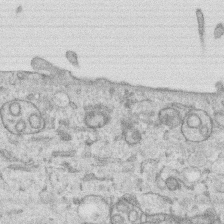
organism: Human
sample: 1205lu cells